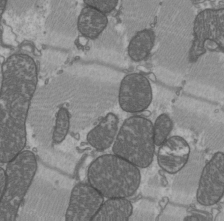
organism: C57BL Mouse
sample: Heart